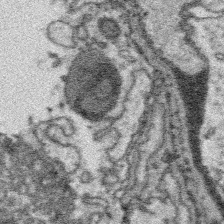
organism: Platynereis dumerilii